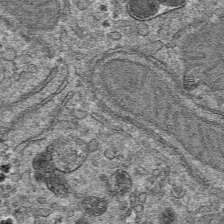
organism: Mouse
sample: Mouse hepatocytes